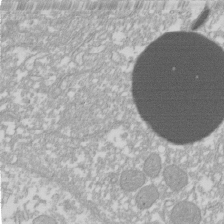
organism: Xenopus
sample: Cilia; centrioles in frog embryo cells